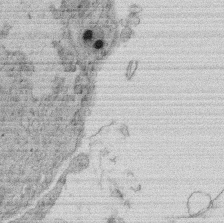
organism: Rat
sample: Salivary granule